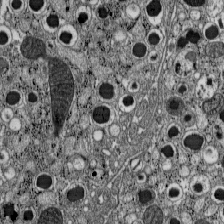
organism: C57BL Mouse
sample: Pancreatic islet